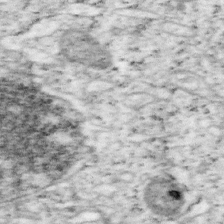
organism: Mouse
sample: OT-I killer T cells with ID8 ovarian cancer cells